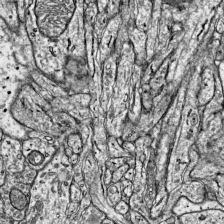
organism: Mouse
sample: Visual Cortex